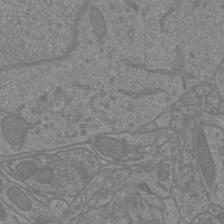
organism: Mouse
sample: Cortical neurons